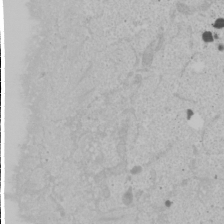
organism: Human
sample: Mitochondria in U2OS cells